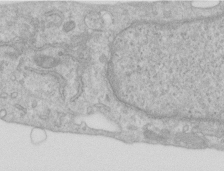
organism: Human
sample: Centriole in RPE cells